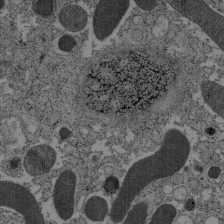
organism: C57BL Mouse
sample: Pancreatic islet